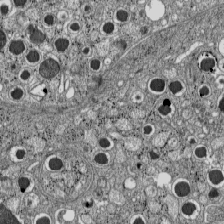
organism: C57BL Mouse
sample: Pancreatic islet